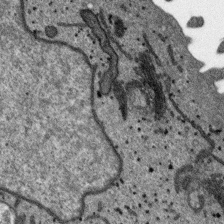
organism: Human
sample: Lung epithelial cells, uninfected (mock) control